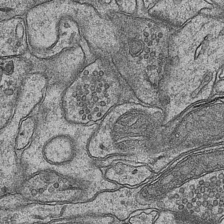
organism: Mouse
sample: CA1 Hippocampus